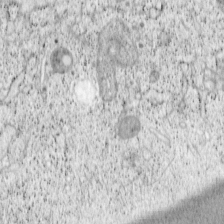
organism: African green monkey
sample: COS-7 cells